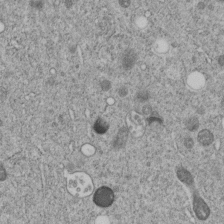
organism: C. elegans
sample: C. elegans embryo early stage